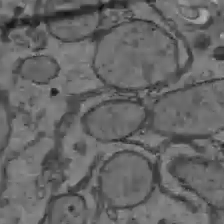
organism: C57BL Mouse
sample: Liver